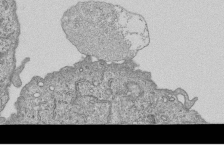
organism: Human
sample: MDA-MB-231 cells